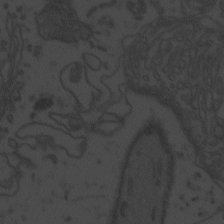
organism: Zebrafish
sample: Macrophage infected with Toxoplasma gondii